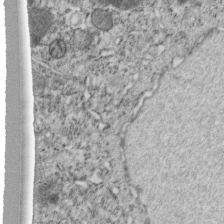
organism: C. elegans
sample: C. elegans embryo early stage